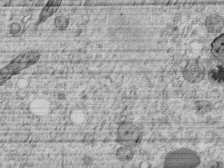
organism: C. elegans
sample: C. elegans embryo early stage